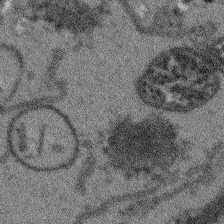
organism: Arabidopsis thaliana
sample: Root tip